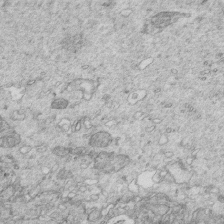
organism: Mouse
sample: Multiciliated cells